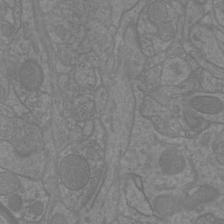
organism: Mouse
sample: Cortical neurons